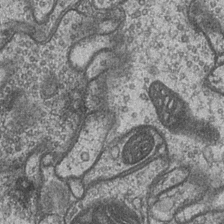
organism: Drosophila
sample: Optic medulla